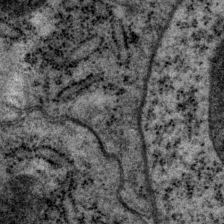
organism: P. pacificus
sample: Pharynx